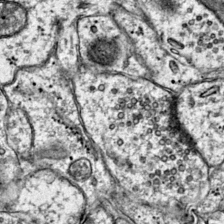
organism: Mouse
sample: Primary visual cortex